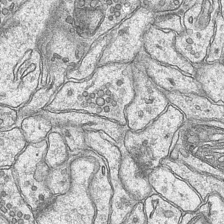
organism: Mouse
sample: CA1 Hippocampus